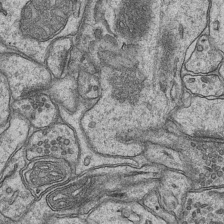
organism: Mouse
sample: CA1 Hippocampus